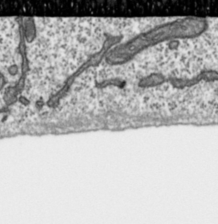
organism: Toxoplasma gondii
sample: Parasites in a vacuole inside a host cell